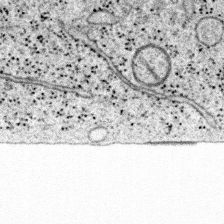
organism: Human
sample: HeLa cells